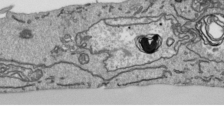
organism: Human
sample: Mitochondria in HCT116 cells